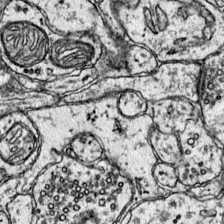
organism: Mouse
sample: Primary visual cortex